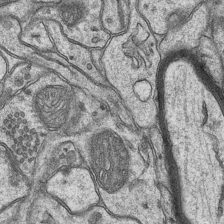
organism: Mouse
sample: CA1 Hippocampus